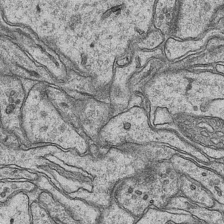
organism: Mouse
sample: CA1 Hippocampus